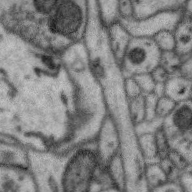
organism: Zebra finch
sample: Brain